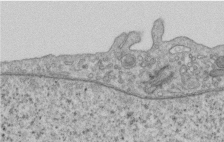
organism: Human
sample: Centriole in RPE cells